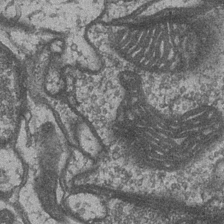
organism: Drosophila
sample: Optic medulla